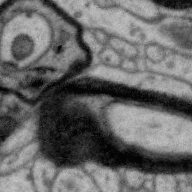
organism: Zebra finch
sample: Brain